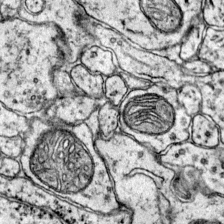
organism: Mouse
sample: Primary visual cortex